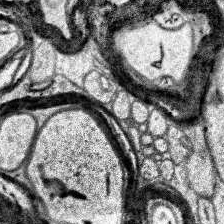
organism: Human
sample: Temporal Lobe